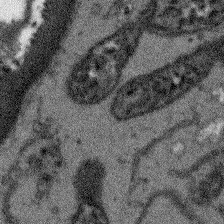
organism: Arabidopsis thaliana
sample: Root tip